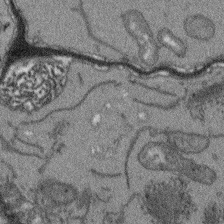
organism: Arabidopsis thaliana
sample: Root tip